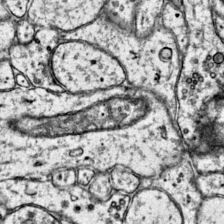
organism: Mouse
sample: Primary visual cortex